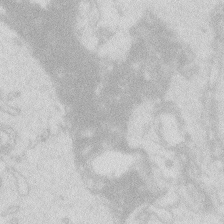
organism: Zebrafish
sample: Macrophage